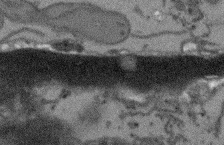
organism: Arabidopsis thaliana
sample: Root tip